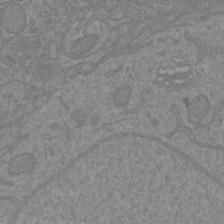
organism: Mouse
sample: Cortical neurons